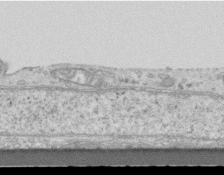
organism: Mouse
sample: Centriole in ependymal cells